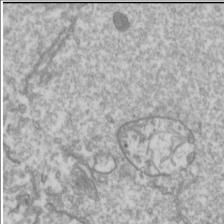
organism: Drosophila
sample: Cell division; meiosis; drosophila spermatocytes